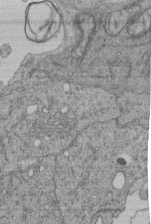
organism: Human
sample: Retinal organoid Rod and Cone cells